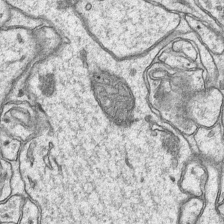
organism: Mouse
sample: CA1 Hippocampus